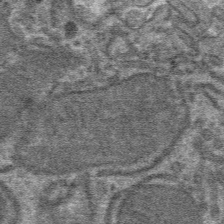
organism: Mouse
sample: Mouse hepatocytes